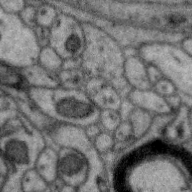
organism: Zebra finch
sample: Brain